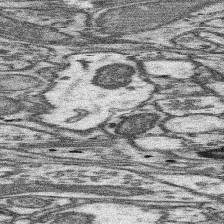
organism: Mouse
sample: Somatosensory cortex neuropil